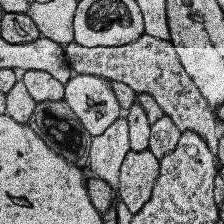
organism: Human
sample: Temporal Lobe